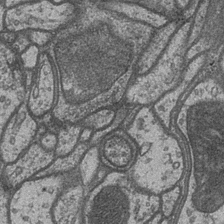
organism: Drosophila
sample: Optic medulla